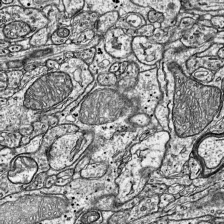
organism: Mouse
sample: Visual Cortex